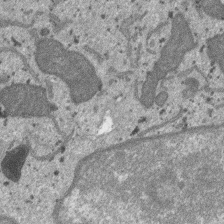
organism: Human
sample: Lung epithelial cells infected with SARS-CoV-2